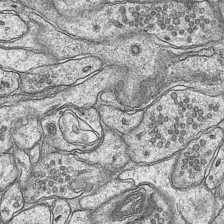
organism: Mouse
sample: CA1 Hippocampus